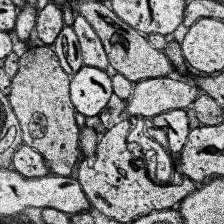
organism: Human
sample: Temporal Lobe